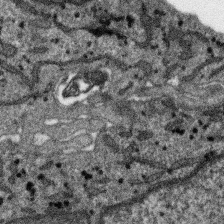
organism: Human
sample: Lung epithelial cells infected with SARS-CoV-2